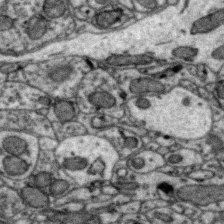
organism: Zebra finch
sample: Brain